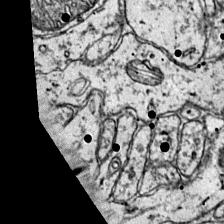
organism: Mouse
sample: Primary visual cortex